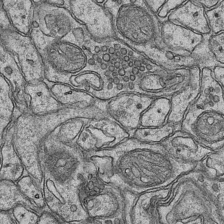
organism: Mouse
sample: CA1 Hippocampus